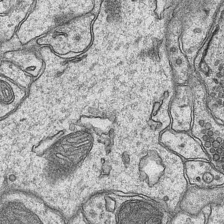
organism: Mouse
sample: CA1 Hippocampus